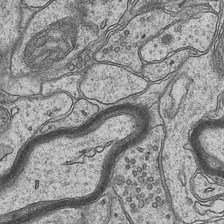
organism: Mouse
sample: CA1 Hippocampus